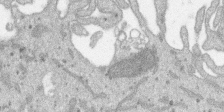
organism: Human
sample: Lung epithelial cells infected with SARS-CoV-2